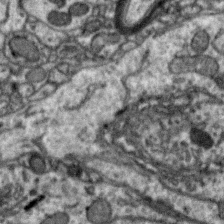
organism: Zebra finch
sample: Brain